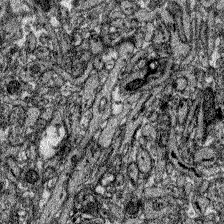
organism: Zebrafish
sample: Larval olfactory bulb